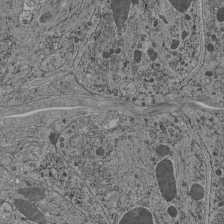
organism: C. elegans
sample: C. elegans pharynx